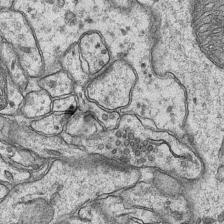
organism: Mouse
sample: CA1 Hippocampus